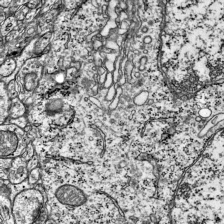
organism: Mouse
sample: Visual Cortex